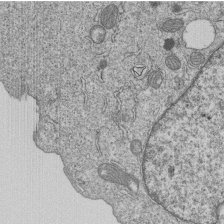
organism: Human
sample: MDA-MB-231 cells